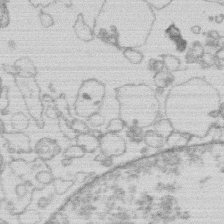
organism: Human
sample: Macrophage cells